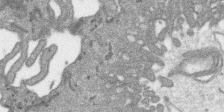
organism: Human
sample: Lung epithelial cells infected with SARS-CoV-2